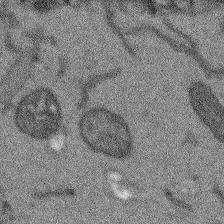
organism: Arabidopsis thaliana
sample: Root tip